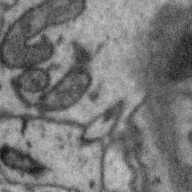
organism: Zebra finch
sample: Brain